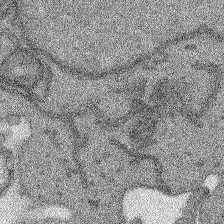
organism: Human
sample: HeLa cells